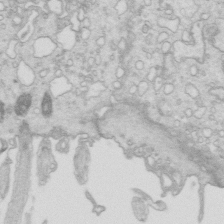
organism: Mouse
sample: Multiciliated cells